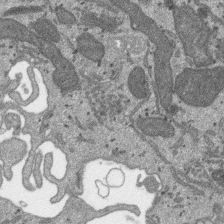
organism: Human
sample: Lung epithelial cells infected with SARS-CoV-2